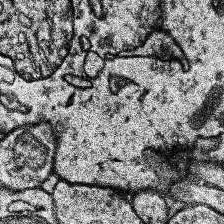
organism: Human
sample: Temporal Lobe